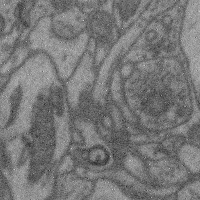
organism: Mouse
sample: Cerebral cortex